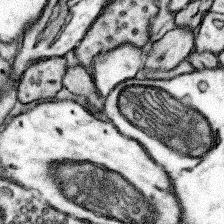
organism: Mouse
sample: Somatosensory cortex neuropil